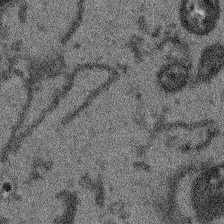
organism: Arabidopsis thaliana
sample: Root tip